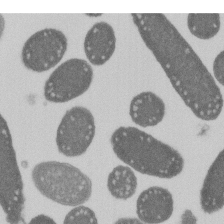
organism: E. coli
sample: Bacterial nucleoid